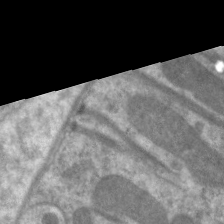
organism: C. elegans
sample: Pharynx